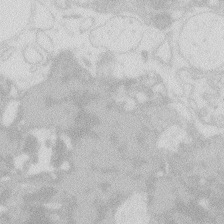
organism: Zebrafish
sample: Macrophage